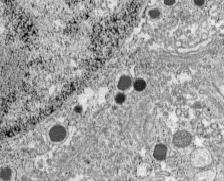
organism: C57BL Mouse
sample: Pancreatic islet